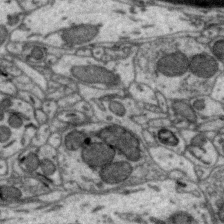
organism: Zebra finch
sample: Brain